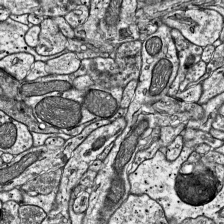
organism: Mouse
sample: Visual Cortex